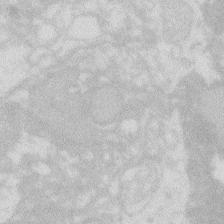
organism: Zebrafish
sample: Macrophage